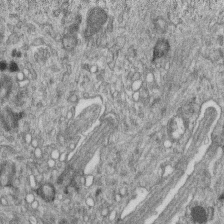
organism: Mouse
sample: Centriole in ependymal cells